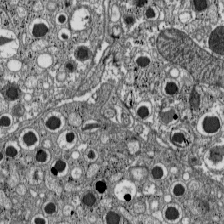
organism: C57BL Mouse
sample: Pancreatic islet